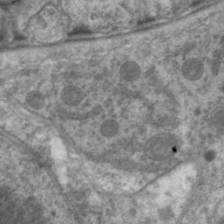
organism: C. elegans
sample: Pharynx